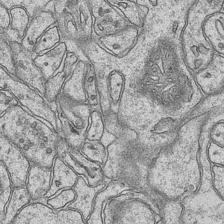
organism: Mouse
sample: CA1 Hippocampus